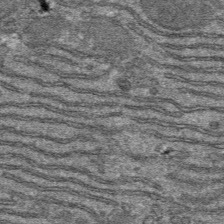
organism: Mouse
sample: Mouse hepatocytes